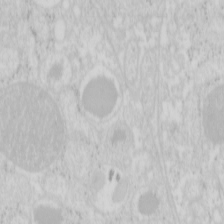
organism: Mouse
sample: Pancreas